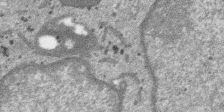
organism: Human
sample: Lung epithelial cells infected with SARS-CoV-2